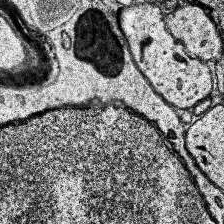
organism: Human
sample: Temporal Lobe